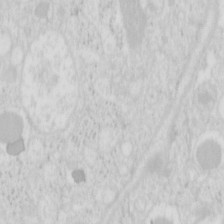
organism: Mouse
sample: Pancreas